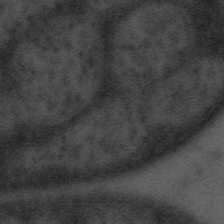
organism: Tuwongella immobilis